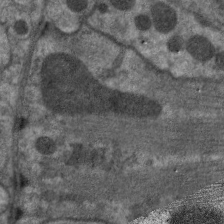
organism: C. elegans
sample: Pharynx